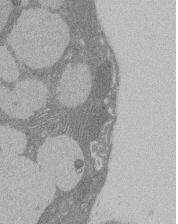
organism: Rat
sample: Salivary granule